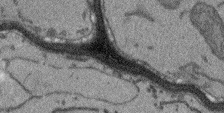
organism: Arabidopsis thaliana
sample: Root tip